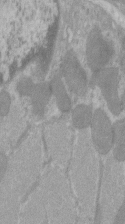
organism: C57BL Mouse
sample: Tibialis anterior muscle cell